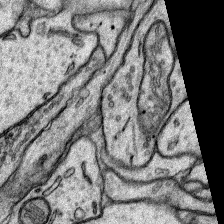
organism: Rat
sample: Hippocampus